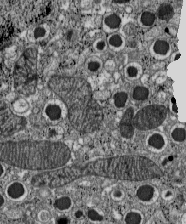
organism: C57BL Mouse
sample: Pancreatic islet